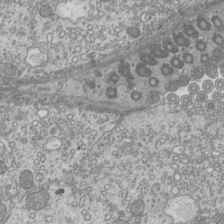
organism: Mouse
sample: Cilia; mouse epididymis